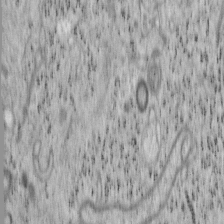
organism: Human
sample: HeLa cells